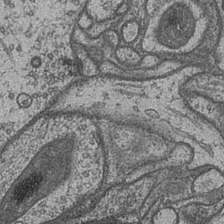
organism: Drosophila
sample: Optic medulla